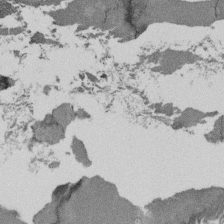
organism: Tetrahymena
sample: Cilia in tetrahymena